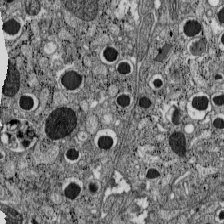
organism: C57BL Mouse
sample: Pancreatic islet